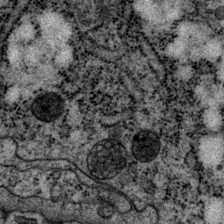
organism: P. pacificus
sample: Pharynx